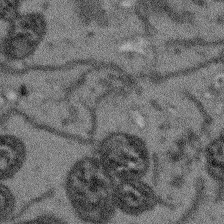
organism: Arabidopsis thaliana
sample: Root tip